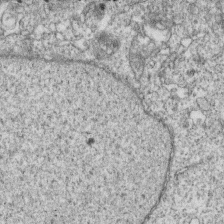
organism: Human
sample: HeLa cell HIV synapse